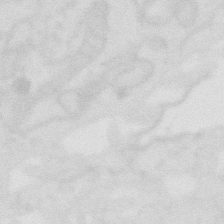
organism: Human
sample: HeLa cells